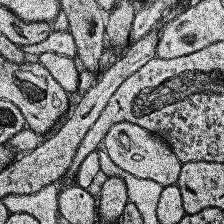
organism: Human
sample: Temporal Lobe